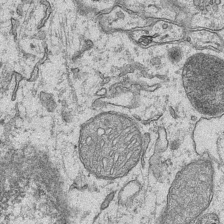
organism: Mouse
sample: CA1 Hippocampus